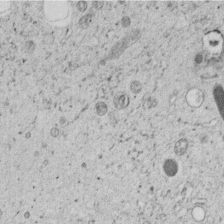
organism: C. elegans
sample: C. elegans embryo early stage